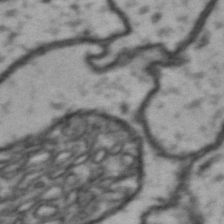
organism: Drosophila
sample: Brain